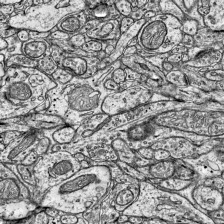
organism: Mouse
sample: Visual Cortex